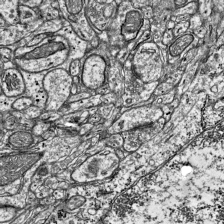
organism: Mouse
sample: Visual Cortex